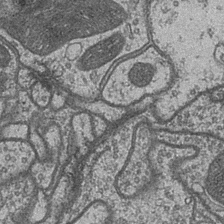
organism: Drosophila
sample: Optic medulla